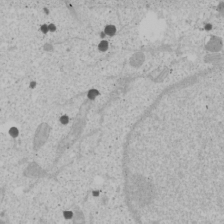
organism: Human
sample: Mitochondria in U2OS cells